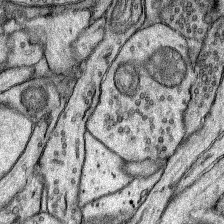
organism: Rat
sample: Hippocampus